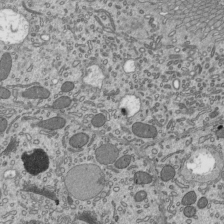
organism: Mouse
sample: Mouse epididymis efferent ductule cilia